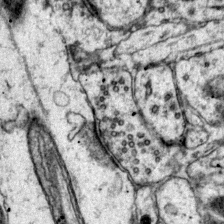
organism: Mouse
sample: Primary visual cortex